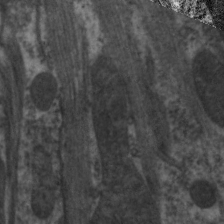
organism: C. elegans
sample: Pharynx